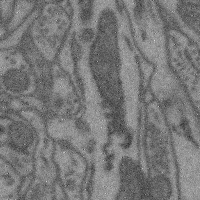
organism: Mouse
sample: Cerebral cortex